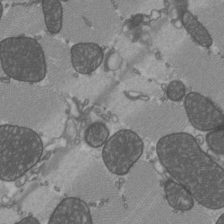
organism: C57BL Mouse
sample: Heart